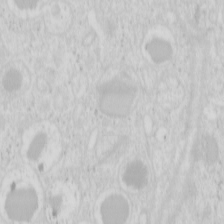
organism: Mouse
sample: Pancreas